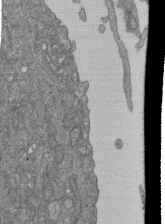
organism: Human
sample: Retinal organoid Rod and Cone cells